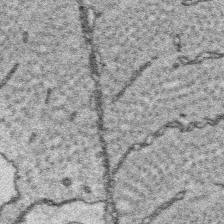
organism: Platynereis dumerilii